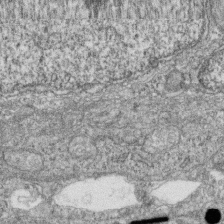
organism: Zebrafish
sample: Cilia; retinal pigment epithelium